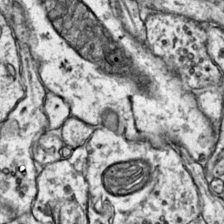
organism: Mouse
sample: Primary visual cortex